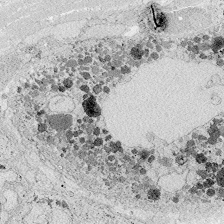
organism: Zebrafish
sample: Whole-Brain